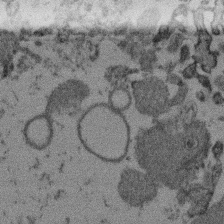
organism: Mouse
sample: Dividing mouse embryo 1 cell stage